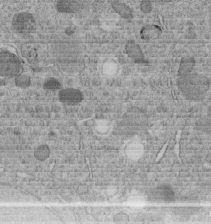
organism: C. elegans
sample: C. elegans embryo early stage